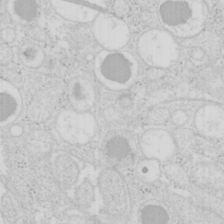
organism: Mouse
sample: Pancreas